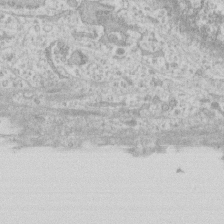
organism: Human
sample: Fibroblast cells